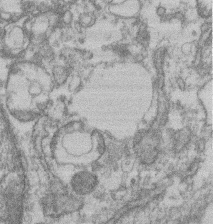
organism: Mouse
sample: T cell stromal cell synapse